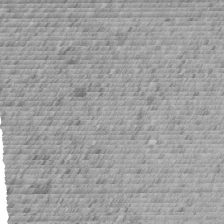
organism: C. elegans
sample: C. elegans embryo early stage